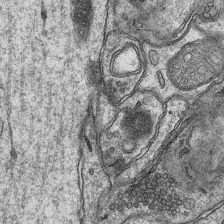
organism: Mouse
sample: CA1 Hippocampus